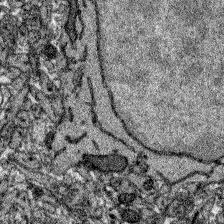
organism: Zebrafish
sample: Larval olfactory bulb